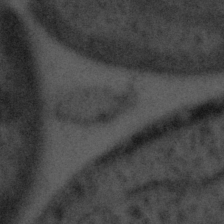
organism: Tuwongella immobilis